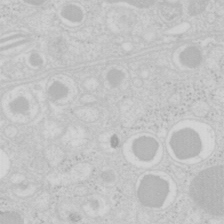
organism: Mouse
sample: Pancreas